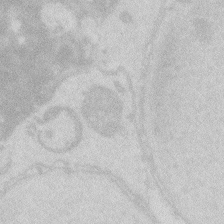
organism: Zebrafish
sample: Macrophage